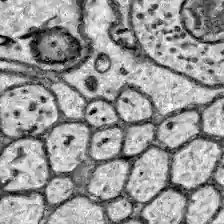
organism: Zebrafish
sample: Brain